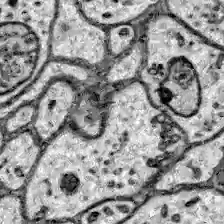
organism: Zebrafish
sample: Brain